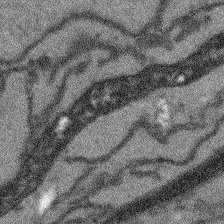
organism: Arabidopsis thaliana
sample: Root tip